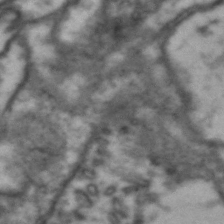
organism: Drosophila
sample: Brain